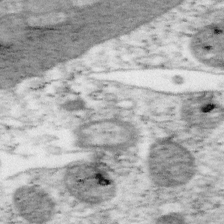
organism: Mouse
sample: OT-I killer T cells with ID8 ovarian cancer cells